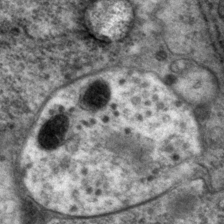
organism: P. pacificus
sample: Pharynx